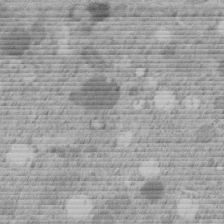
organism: C. elegans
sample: C. elegans embryo early stage